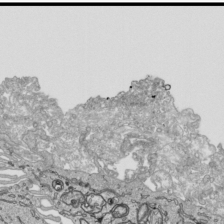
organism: Human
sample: Mitochondria in HCT116 cells